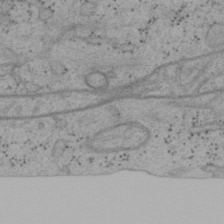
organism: Human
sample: HeLa cells